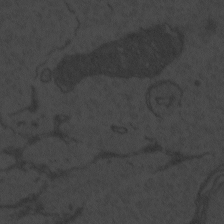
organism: Zebrafish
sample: Macrophage infected with Toxoplasma gondii